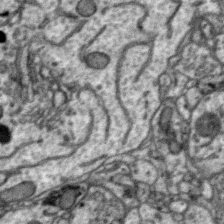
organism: Zebra finch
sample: Brain